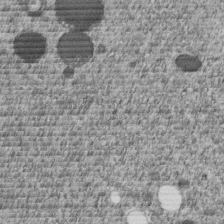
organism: C. elegans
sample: C. elegans embryo early stage